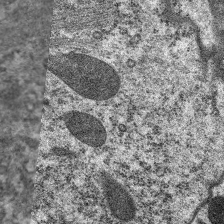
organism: C. elegans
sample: Pharynx